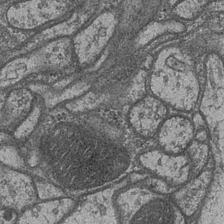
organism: Drosophila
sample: Optic medulla